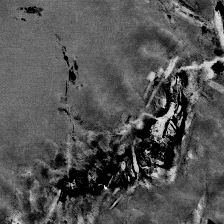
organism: Mouse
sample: Mouse Salivary gland